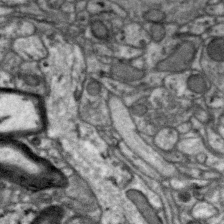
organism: Zebra finch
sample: Brain